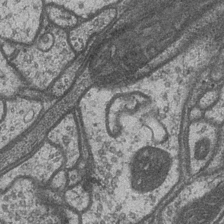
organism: Drosophila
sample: Optic medulla